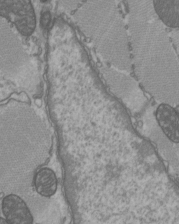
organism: C57BL Mouse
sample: Heart